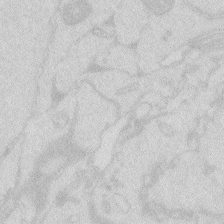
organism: Zebrafish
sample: Macrophage